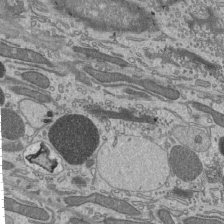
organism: Mouse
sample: Mouse epididymis efferent ductule cilia